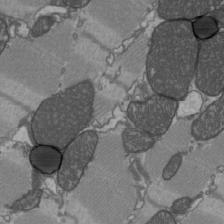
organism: C57BL Mouse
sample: Heart